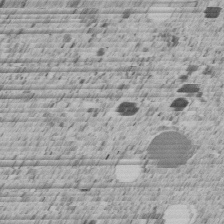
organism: C. elegans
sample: C. elegans embryo early stage